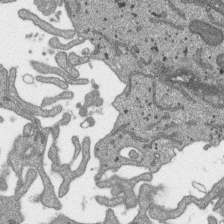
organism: Human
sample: Lung epithelial cells infected with SARS-CoV-2